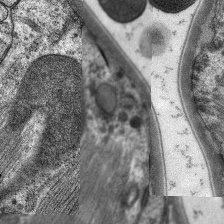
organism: C. elegans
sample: Pharynx